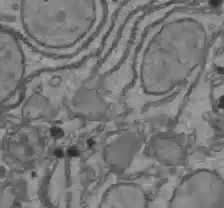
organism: C57BL Mouse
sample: Liver